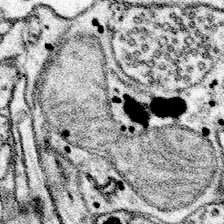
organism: Mouse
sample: Somatosensory cortex neuropil